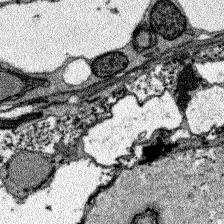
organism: Zebrafish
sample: Larval olfactory bulb